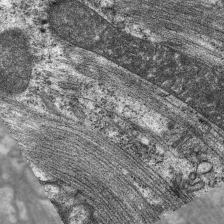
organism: C. elegans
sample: Pharynx